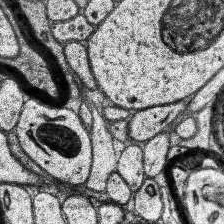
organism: Human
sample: Temporal Lobe